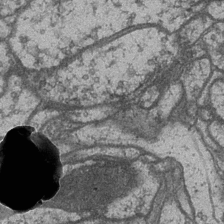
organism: Drosophila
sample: Optic medulla